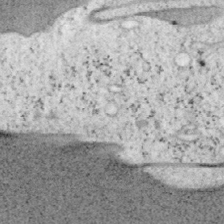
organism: Mouse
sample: OT-I killer T cells with ID8 ovarian cancer cells